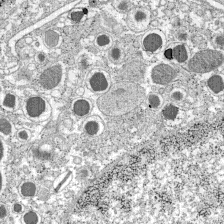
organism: C57BL Mouse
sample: Pancreatic islet